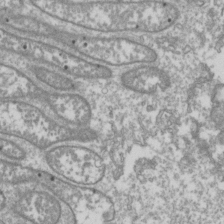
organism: Drosophila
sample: Cell division; meiosis; drosophila spermatocytes